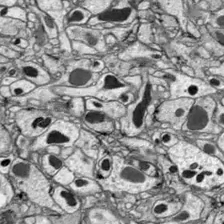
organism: Drosophila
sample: Optic lobe